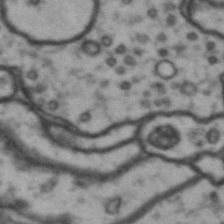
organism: Drosophila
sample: Brain